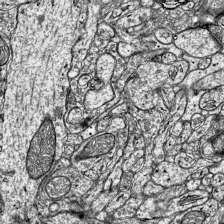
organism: Mouse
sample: Visual Cortex